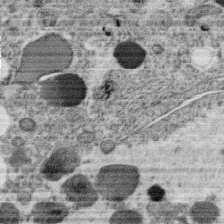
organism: C. elegans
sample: C. elegans oocyte; sperm cells